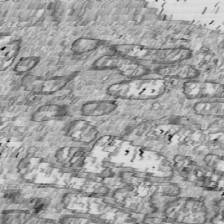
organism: Drosophila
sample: Cell division; meiosis; drosophila spermatocytes